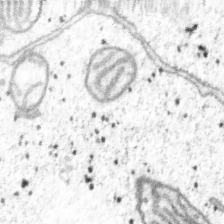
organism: Human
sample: HeLa cells